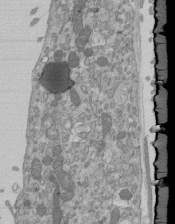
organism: Mouse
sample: ED-1 cell nuclei; centrioles